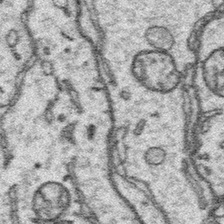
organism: Platynereis dumerilii